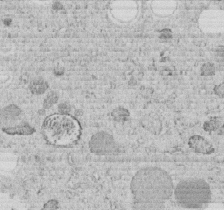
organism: C. elegans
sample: C. elegans embryo early stage